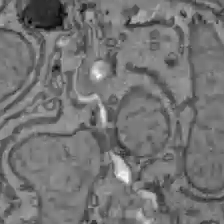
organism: C57BL Mouse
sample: Liver